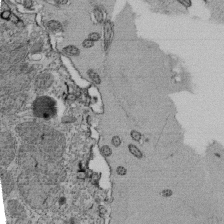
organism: Tetrahymena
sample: Cilia in tetrahymena